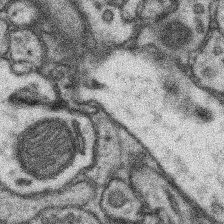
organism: Mouse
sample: Somatosensory cortex neuropil